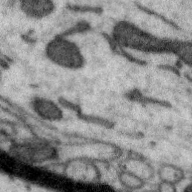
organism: Zebra finch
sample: Brain